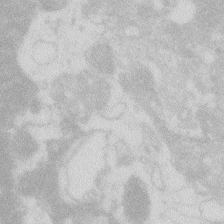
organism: Zebrafish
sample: Macrophage